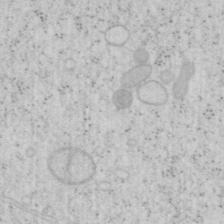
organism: Human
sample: HeLa cells